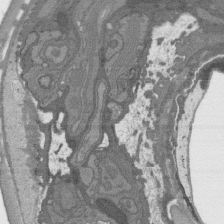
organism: C. elegans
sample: AFD neurons C. elegans